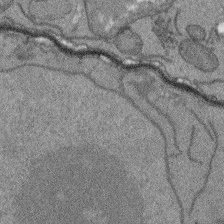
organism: Arabidopsis thaliana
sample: Root tip